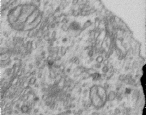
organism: Human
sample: Centriole in RPE cells